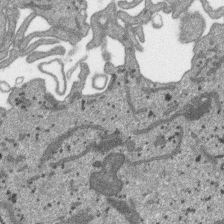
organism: Human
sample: Lung epithelial cells infected with SARS-CoV-2